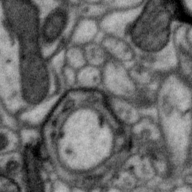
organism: Zebra finch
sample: Brain